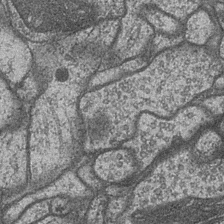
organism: Drosophila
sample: Optic medulla